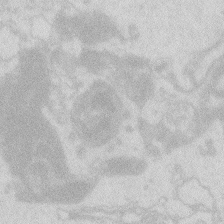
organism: Zebrafish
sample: Macrophage